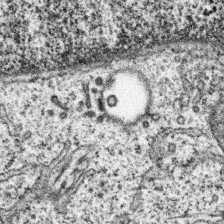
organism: Human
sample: HeLa cells